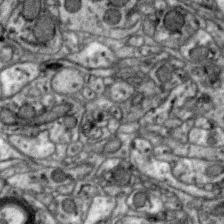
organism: Zebra finch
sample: Brain